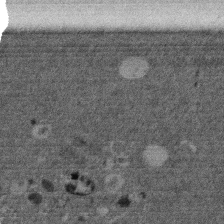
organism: Mouse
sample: Dividing mouse embryo 1 cell stage